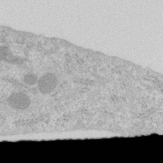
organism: Human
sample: Centriole in RPE cells